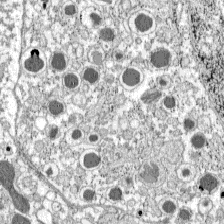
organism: C57BL Mouse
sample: Pancreatic islet